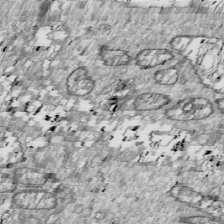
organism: Drosophila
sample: Cell division; meiosis; drosophila spermatocytes